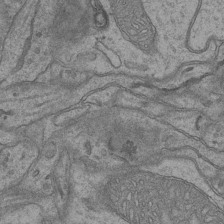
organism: Mouse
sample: CA1 Hippocampus